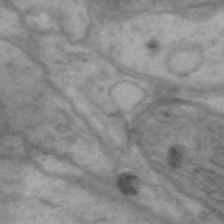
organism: Drosophila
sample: Brain